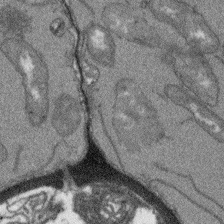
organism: Arabidopsis thaliana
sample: Root tip